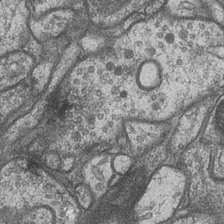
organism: Drosophila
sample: Optic medulla